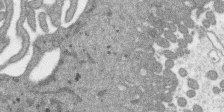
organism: Human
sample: Lung epithelial cells infected with SARS-CoV-2